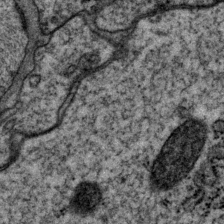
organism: P. pacificus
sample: Pharynx